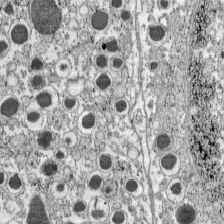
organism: C57BL Mouse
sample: Pancreatic islet